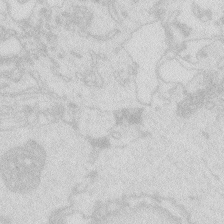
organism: Zebrafish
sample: Macrophage